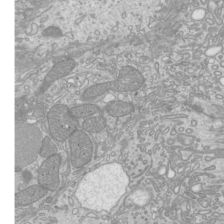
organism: Mouse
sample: Cilia; mouse epididymis